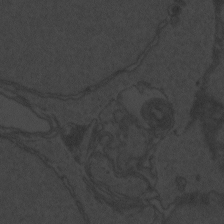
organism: Zebrafish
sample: Macrophage infected with Toxoplasma gondii